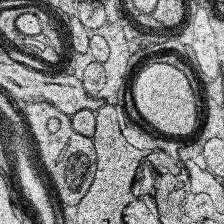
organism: Human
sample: Temporal Lobe